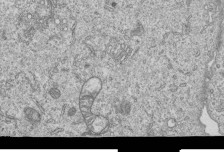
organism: Human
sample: MDA-MB-231 cells